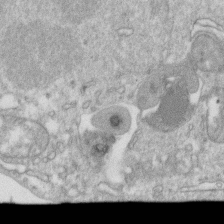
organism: Mouse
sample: Activated OT-1 CD8+ T cells